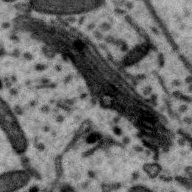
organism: Zebra finch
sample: Brain